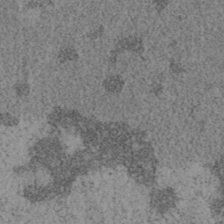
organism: Mouse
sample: OT-I killer T cells with ID8 ovarian cancer cells